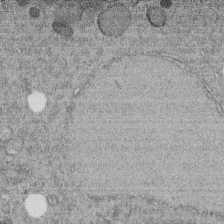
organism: C. elegans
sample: C. elegans embryo early stage